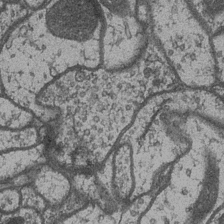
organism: Drosophila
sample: Optic medulla